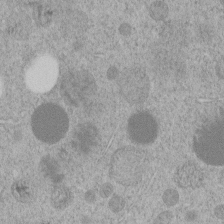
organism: C. elegans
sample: C. elegans embryo early stage